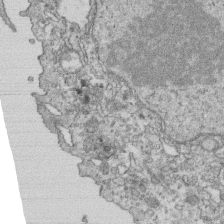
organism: Human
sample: HeLa cell HIV synapse